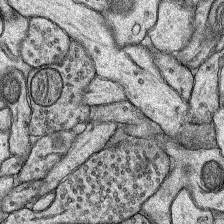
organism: Rat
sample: Hippocampus